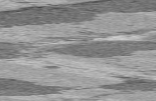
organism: C57BL Mouse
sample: Heart